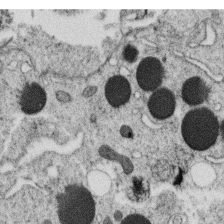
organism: C. elegans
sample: C. elegans oocyte; sperm cells